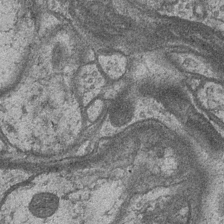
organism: Drosophila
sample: Optic medulla